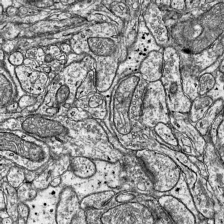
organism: Mouse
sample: Visual Cortex